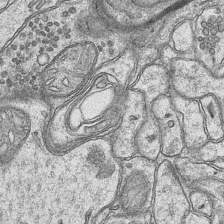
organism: Mouse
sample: CA1 Hippocampus